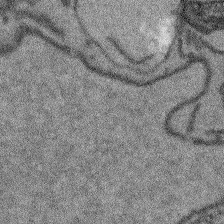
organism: Arabidopsis thaliana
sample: Root tip